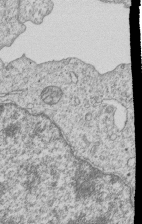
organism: Human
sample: MDA-MB-231 cells